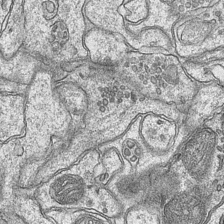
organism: Mouse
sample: CA1 Hippocampus